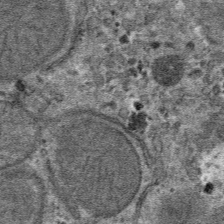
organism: Mouse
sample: Mouse hepatocytes